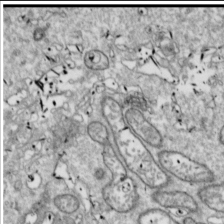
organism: Drosophila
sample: Cell division; meiosis; drosophila spermatocytes